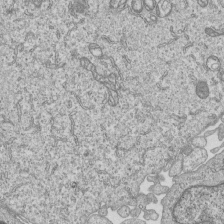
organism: Human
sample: MDA-MB-231 cells